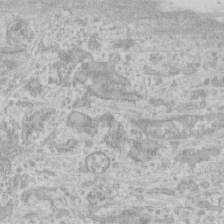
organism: Human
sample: CRL-1474